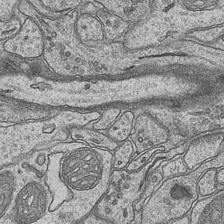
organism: Mouse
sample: CA1 Hippocampus